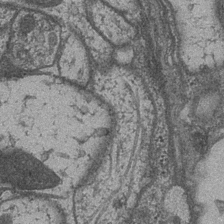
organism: Drosophila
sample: Optic medulla